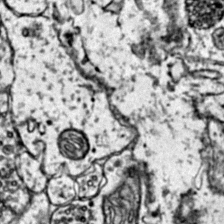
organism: Mouse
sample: Primary visual cortex